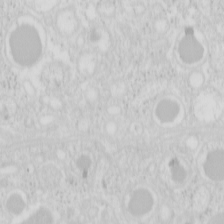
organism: Mouse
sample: Pancreas